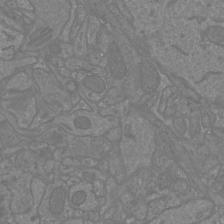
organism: Mouse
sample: Cortical neurons